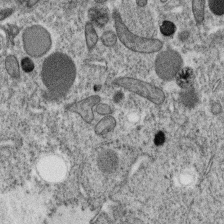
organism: C. elegans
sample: C. elegans oocyte; sperm cells